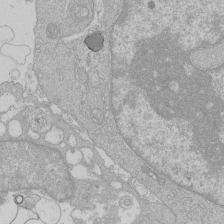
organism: Human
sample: Macrophage cells